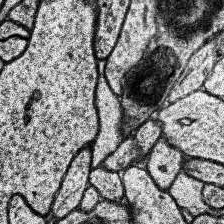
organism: Human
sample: Temporal Lobe